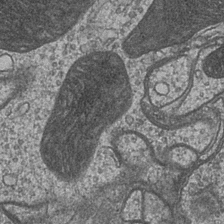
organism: Drosophila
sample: Optic medulla